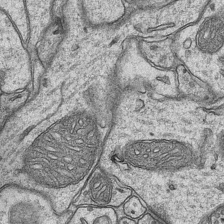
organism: Mouse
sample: CA1 Hippocampus